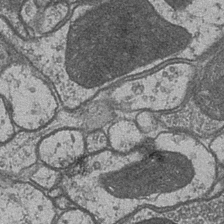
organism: Drosophila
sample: Optic medulla